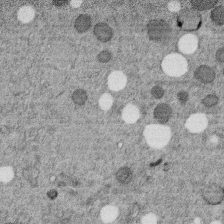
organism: C. elegans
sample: C. elegans embryo early stage